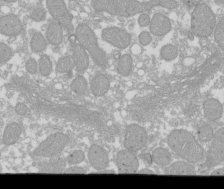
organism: Xenopus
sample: Cilia; centrioles in frog embryo cells